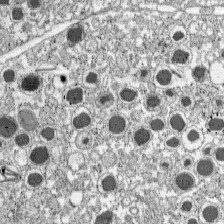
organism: C57BL Mouse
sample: Pancreatic islet